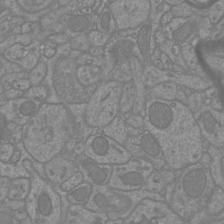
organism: Mouse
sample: Cortical neurons